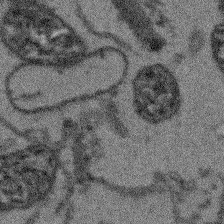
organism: Arabidopsis thaliana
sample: Root tip